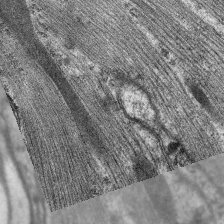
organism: C. elegans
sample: Pharynx